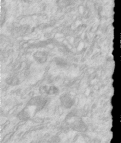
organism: Human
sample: Centriole in RPE cells